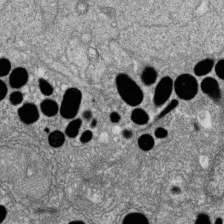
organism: Zebrafish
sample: Cilia; retinal pigment epithelium